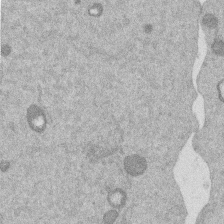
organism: Mouse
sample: Dividing mouse embryo 1 cell stage